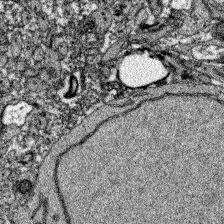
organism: Zebrafish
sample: Larval olfactory bulb